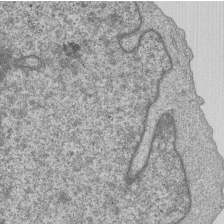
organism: Human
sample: MDA-MB-231 cells